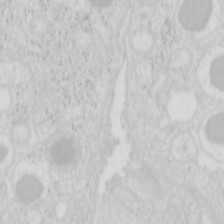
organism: Mouse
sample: Pancreas